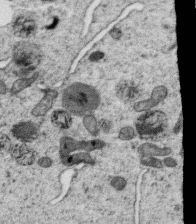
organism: C. elegans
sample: C. elegans oocyte; sperm cells